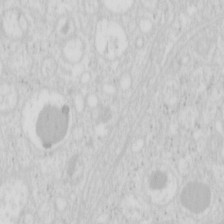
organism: Mouse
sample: Pancreas